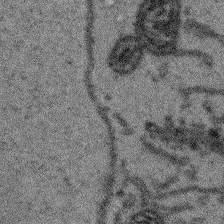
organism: Arabidopsis thaliana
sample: Root tip